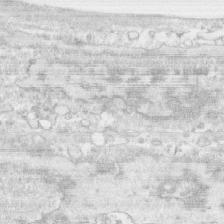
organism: Human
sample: CRL-1474